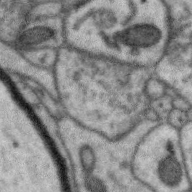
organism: Zebra finch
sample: Brain